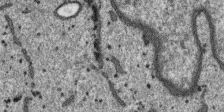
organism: Human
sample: Lung epithelial cells infected with SARS-CoV-2